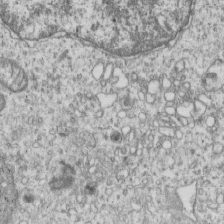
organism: Human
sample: MDA-MB-231 cells